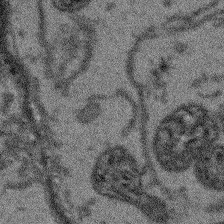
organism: Arabidopsis thaliana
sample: Root tip